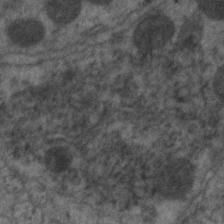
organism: C. elegans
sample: Pharynx